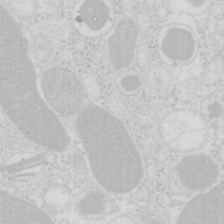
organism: Mouse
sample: Pancreas